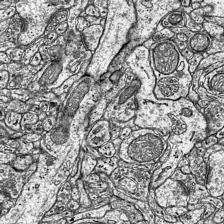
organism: Mouse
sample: Visual Cortex